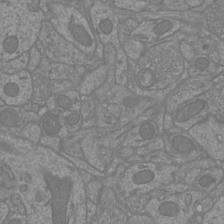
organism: Mouse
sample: Cortical neurons